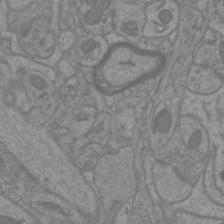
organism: Mouse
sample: Cortical neurons